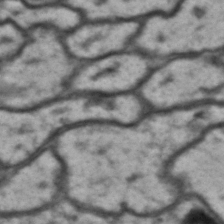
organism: Drosophila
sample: Brain